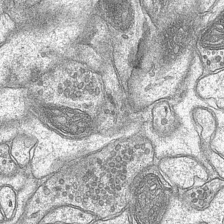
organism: Mouse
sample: CA1 Hippocampus